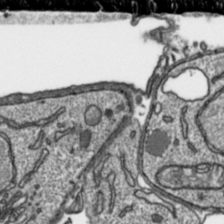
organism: Toxoplasma gondii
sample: Parasites in a vacuole inside a host cell